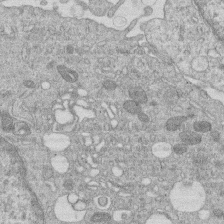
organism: Human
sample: Macrophage cells